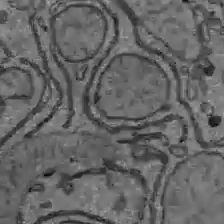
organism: C57BL Mouse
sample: Liver